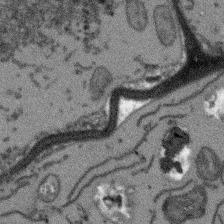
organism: Arabidopsis thaliana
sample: Root tip